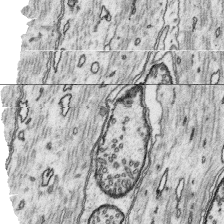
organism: Platynereis dumerilii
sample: Parapodia